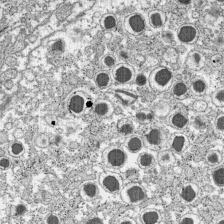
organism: C57BL Mouse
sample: Pancreatic islet